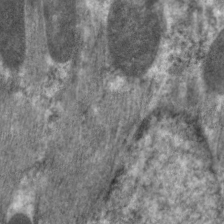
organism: C. elegans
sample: Pharynx